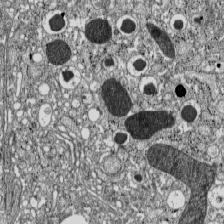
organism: C57BL Mouse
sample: Pancreatic islet